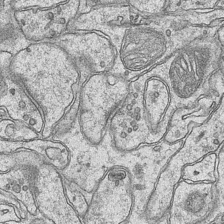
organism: Mouse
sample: CA1 Hippocampus